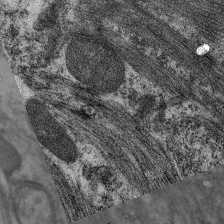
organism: C. elegans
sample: Pharynx